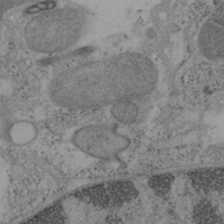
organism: Mouse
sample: OT-I killer T cells with ID8 ovarian cancer cells